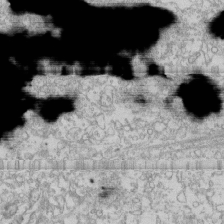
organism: Human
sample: CRL-1474